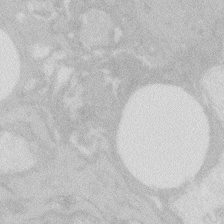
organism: Zebrafish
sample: Macrophage